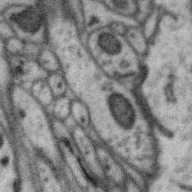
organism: Zebra finch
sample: Brain